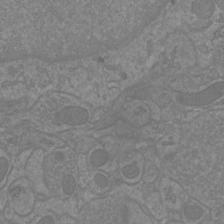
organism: Mouse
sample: Cortical neurons